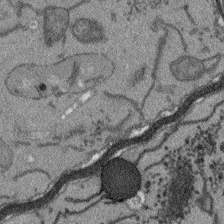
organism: Arabidopsis thaliana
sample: Root tip